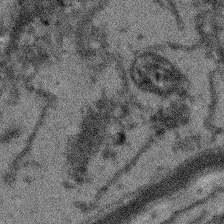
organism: Arabidopsis thaliana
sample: Root tip